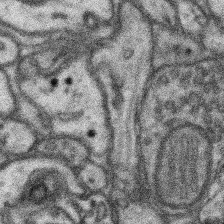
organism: Mouse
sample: Somatosensory cortex neuropil